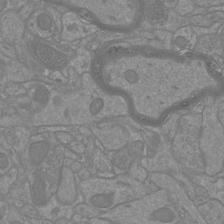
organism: Mouse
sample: Cortical neurons